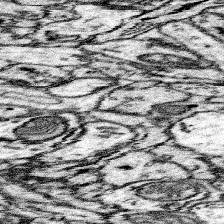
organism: Mouse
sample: Somatosensory cortex neuropil